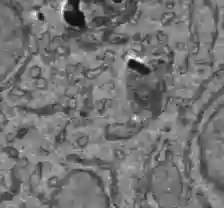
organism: C57BL Mouse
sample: Liver